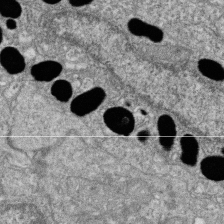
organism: Zebrafish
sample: Cilia; retinal pigment epithelium